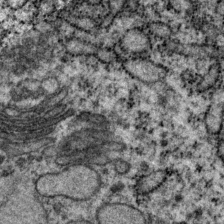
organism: P. pacificus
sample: Pharynx